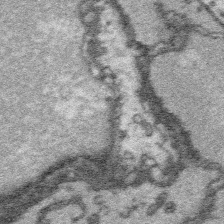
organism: Platynereis dumerilii